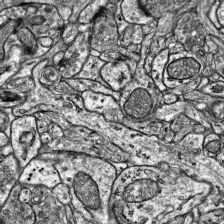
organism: Mouse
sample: Visual Cortex